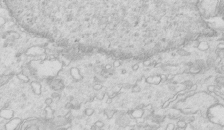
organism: Mouse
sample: Multiciliated cells